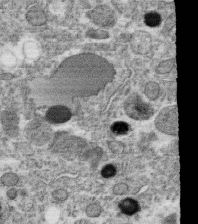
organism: C. elegans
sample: C. elegans oocyte; sperm cells